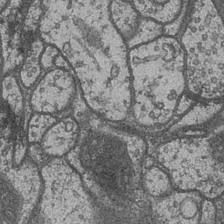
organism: Drosophila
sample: Optic medulla